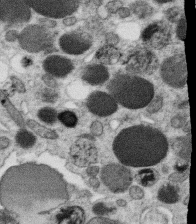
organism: C. elegans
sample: C. elegans oocyte; sperm cells